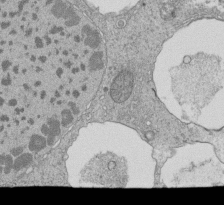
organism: Tetrahymena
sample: Cilia in tetrahymena